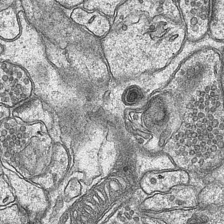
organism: Mouse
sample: CA1 Hippocampus